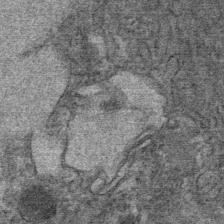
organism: Mouse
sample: Mouse Salivary gland